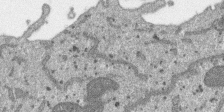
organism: Human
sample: Lung epithelial cells infected with SARS-CoV-2